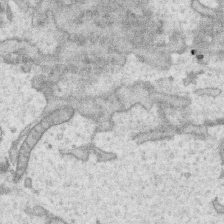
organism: Human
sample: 1205lu cells